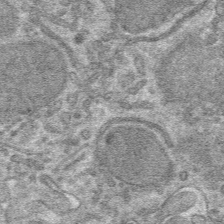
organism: Mouse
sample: Mouse hepatocytes